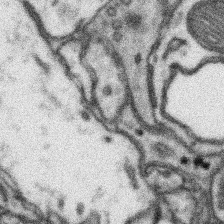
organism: Mouse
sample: Somatosensory cortex neuropil